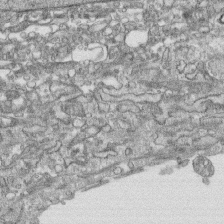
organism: Human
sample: CRL-1474